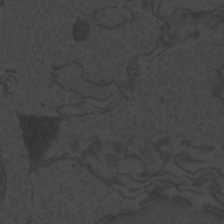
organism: Zebrafish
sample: Macrophage infected with Toxoplasma gondii